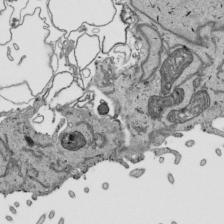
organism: Human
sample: Mitochondria in HCT116 cells